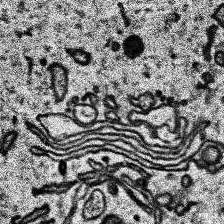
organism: Human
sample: Temporal Lobe